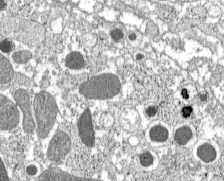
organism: C57BL Mouse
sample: Pancreatic islet